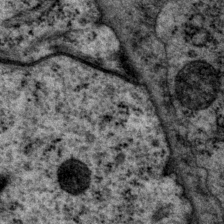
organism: P. pacificus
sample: Pharynx